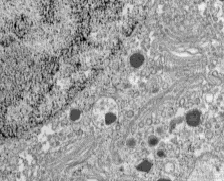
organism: C57BL Mouse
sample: Pancreatic islet